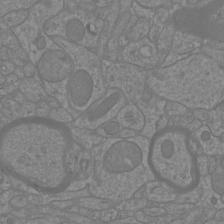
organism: Mouse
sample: Cortical neurons